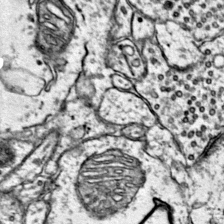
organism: Mouse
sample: Primary visual cortex